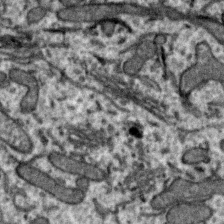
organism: Zebra finch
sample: Brain